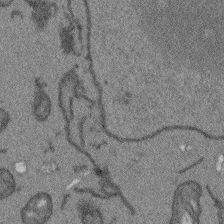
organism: Arabidopsis thaliana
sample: Root tip